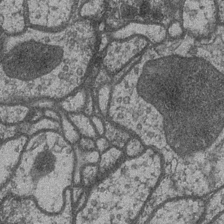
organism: Drosophila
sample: Optic medulla